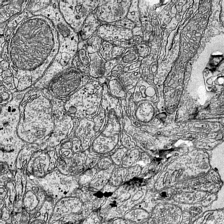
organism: Mouse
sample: Visual Cortex